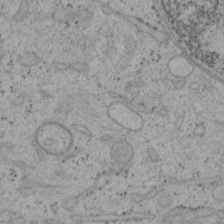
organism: Human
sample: HeLa cells